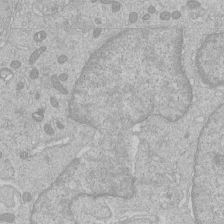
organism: Human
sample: Macrophage cells